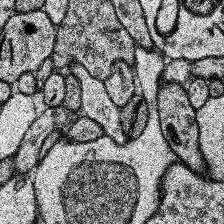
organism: Human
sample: Temporal Lobe